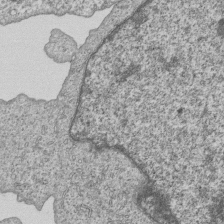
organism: Human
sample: MDA-MB-231 cells